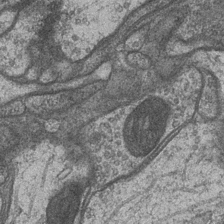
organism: Drosophila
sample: Optic medulla